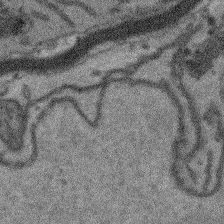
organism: Arabidopsis thaliana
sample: Root tip